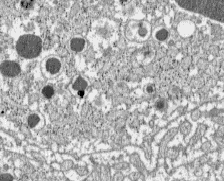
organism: C57BL Mouse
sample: Pancreatic islet